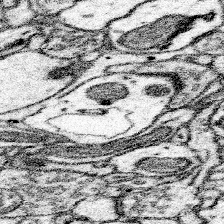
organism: Mouse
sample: Somatosensory cortex neuropil